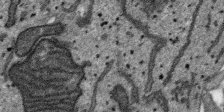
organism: Human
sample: Lung epithelial cells, uninfected (mock) control